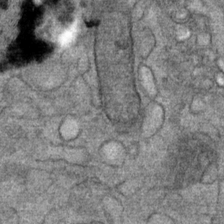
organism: Mouse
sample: Mouse Salivary gland